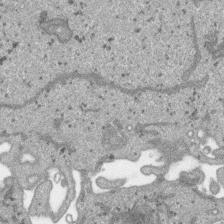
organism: Human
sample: Lung epithelial cells infected with SARS-CoV-2